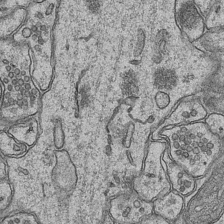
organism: Mouse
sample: CA1 Hippocampus